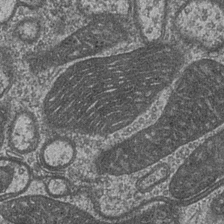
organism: Drosophila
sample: Optic medulla